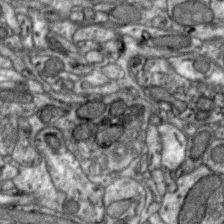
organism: Zebra finch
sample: Brain